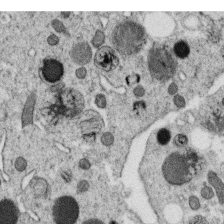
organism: C. elegans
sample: C. elegans oocyte; sperm cells